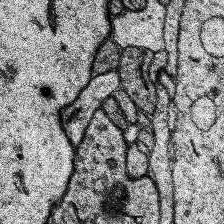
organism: Human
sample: Temporal Lobe